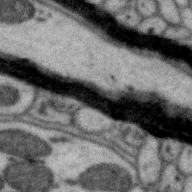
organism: Zebra finch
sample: Brain